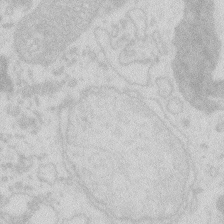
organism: Zebrafish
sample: Macrophage